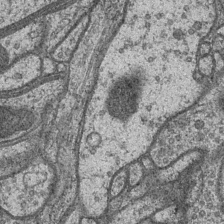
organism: Drosophila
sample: Optic medulla